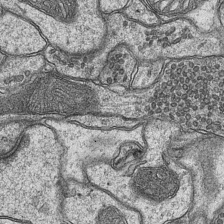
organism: Mouse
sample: CA1 Hippocampus